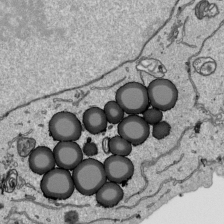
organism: Human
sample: Mitochondria in HCT116 cells